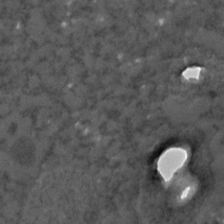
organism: C. elegans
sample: C. elegans embryo